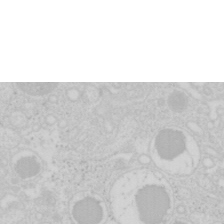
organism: Mouse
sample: Pancreas